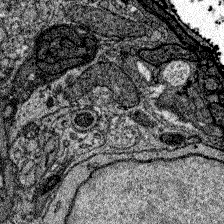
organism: Zebrafish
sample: Larval olfactory bulb